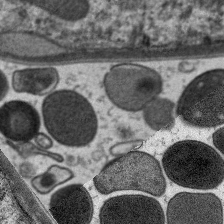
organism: C. elegans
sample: Pharynx